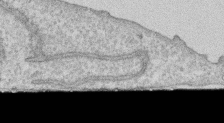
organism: Human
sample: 1205lu cells